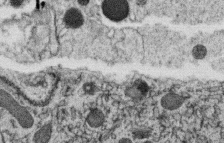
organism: C. elegans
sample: C. elegans oocyte; sperm cells